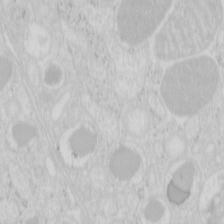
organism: Mouse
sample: Pancreas